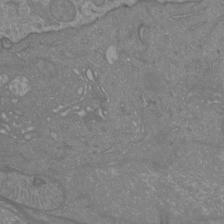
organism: Mouse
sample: Cortical neurons